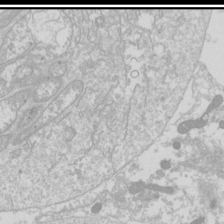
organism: Drosophila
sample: Cell division; meiosis; drosophila spermatocytes